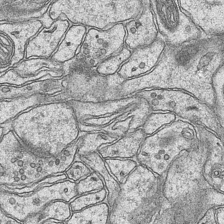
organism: Mouse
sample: CA1 Hippocampus